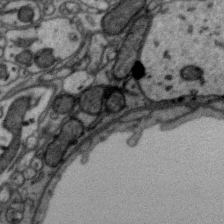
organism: Zebra finch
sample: Brain